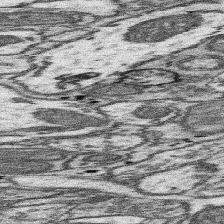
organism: Mouse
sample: Somatosensory cortex neuropil